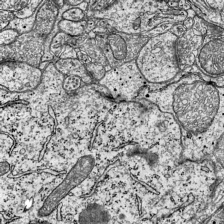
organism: Mouse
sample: Visual Cortex